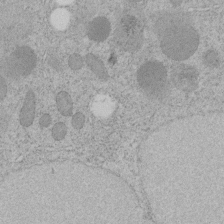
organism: C. elegans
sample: C. elegans embryo early stage